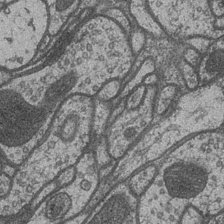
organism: Drosophila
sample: Optic medulla